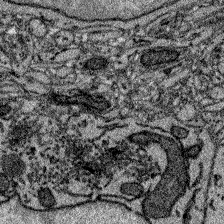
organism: Zebrafish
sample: Larval olfactory bulb